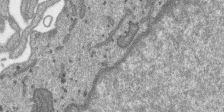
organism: Human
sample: Lung epithelial cells infected with SARS-CoV-2